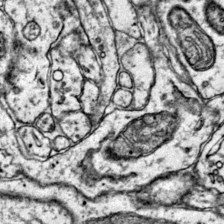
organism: Mouse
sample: Primary visual cortex